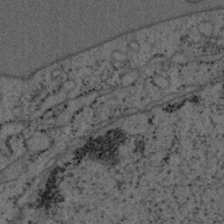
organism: Human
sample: HeLa cells